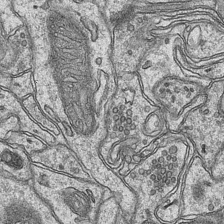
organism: Mouse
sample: CA1 Hippocampus